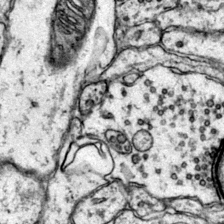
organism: Mouse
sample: Primary visual cortex